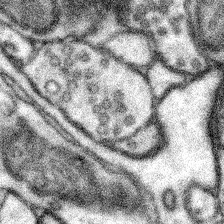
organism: Mouse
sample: Somatosensory cortex neuropil